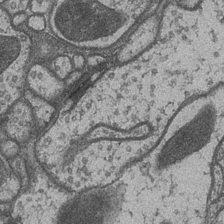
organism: Drosophila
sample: Optic medulla